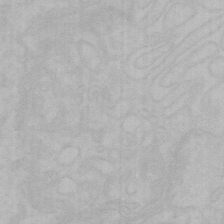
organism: Mouse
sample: Choroid plexus